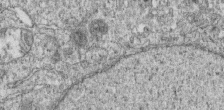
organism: Human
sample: HeLa cell HIV synapse